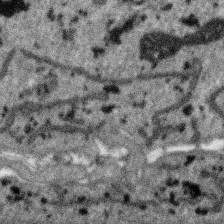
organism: Human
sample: Lung epithelial cells infected with SARS-CoV-2